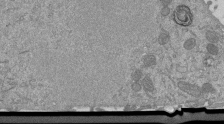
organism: Mouse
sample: ED-1 cell nuclei; centrioles